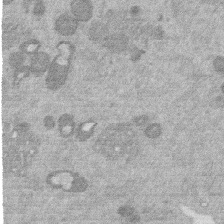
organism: Mouse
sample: Dividing mouse embryo 1 cell stage